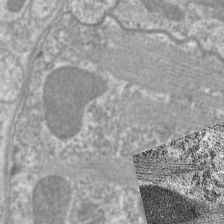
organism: C. elegans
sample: Pharynx